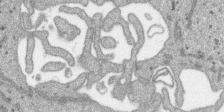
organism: Human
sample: Lung epithelial cells infected with SARS-CoV-2